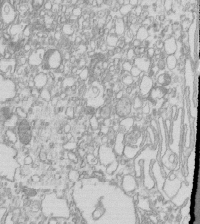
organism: Mouse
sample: Macrophages